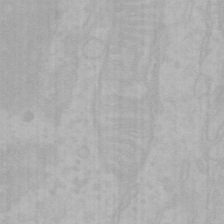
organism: Mouse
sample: Choroid plexus